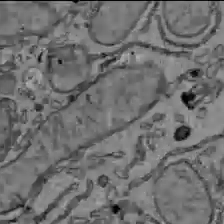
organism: C57BL Mouse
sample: Liver